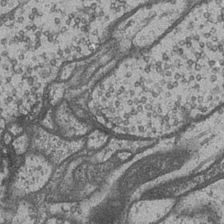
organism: Drosophila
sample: Optic medulla